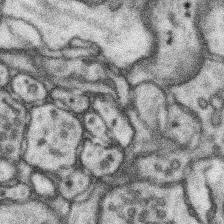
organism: Mouse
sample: Somatosensory cortex neuropil